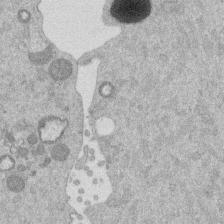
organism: Mouse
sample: Dividing mouse embryo 1 cell stage